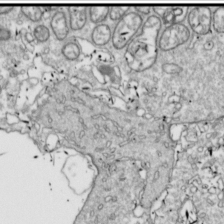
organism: Drosophila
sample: Cell division; meiosis; drosophila spermatocytes